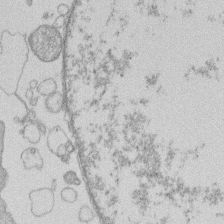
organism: Human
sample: Macrophage cells